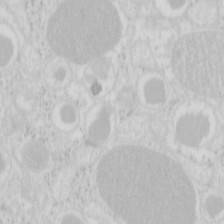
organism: Mouse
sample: Pancreas